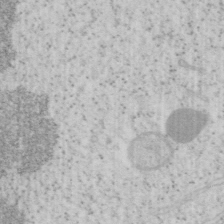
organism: Human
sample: HeLa cells